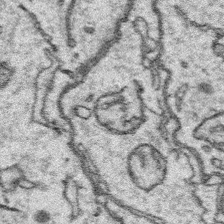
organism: Platynereis dumerilii